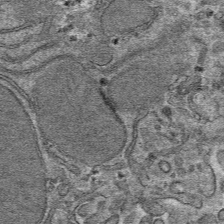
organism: Mouse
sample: Mouse hepatocytes